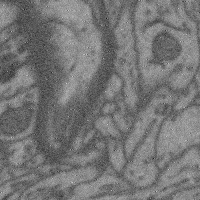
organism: Mouse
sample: Cerebral cortex